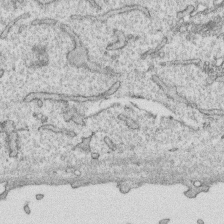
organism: Human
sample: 1205lu cells